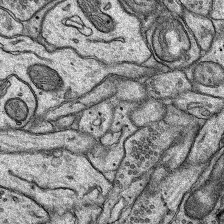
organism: Rat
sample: Hippocampus